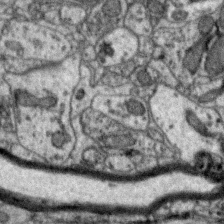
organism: Zebra finch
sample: Brain